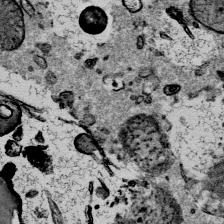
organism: Mouse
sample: Mouse Salivary gland